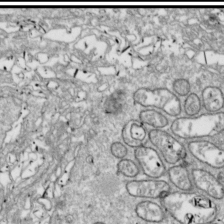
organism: Drosophila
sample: Cell division; meiosis; drosophila spermatocytes